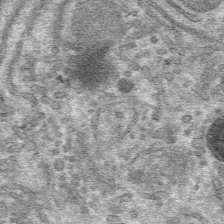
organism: Mouse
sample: Mouse hepatocytes